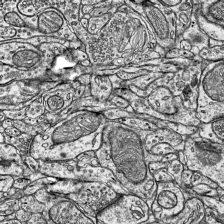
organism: Mouse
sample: Visual Cortex